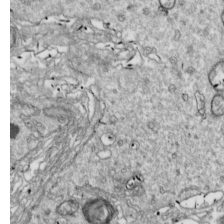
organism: Drosophila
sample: Cell division; meiosis; drosophila spermatocytes